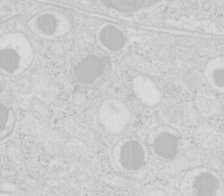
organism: Mouse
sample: Pancreas